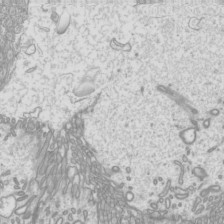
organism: Mouse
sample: Cilia; mouse epididymis